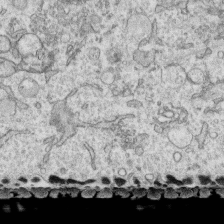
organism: Human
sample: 1205lu cells